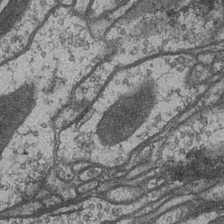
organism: Drosophila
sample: Optic medulla